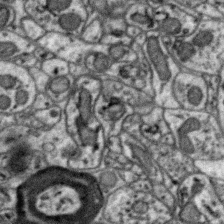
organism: Zebra finch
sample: Brain